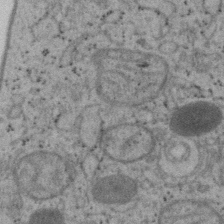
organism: Human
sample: HeLa cells